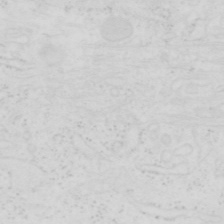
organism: Human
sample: SUM-159 cell